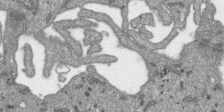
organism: Human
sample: Lung epithelial cells infected with SARS-CoV-2